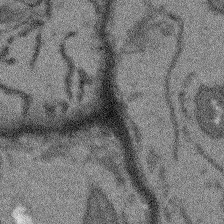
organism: Arabidopsis thaliana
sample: Root tip